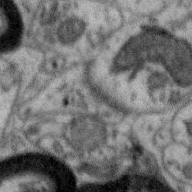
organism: Zebra finch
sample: Brain